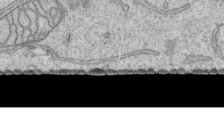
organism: Human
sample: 1205lu cells